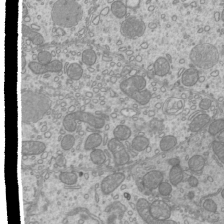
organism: Mouse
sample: Cilia; mouse epididymis